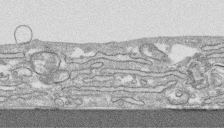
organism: Human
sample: CRL-1474